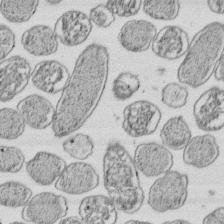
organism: E. coli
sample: Bacterial nucleoid